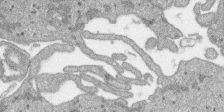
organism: Human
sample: Lung epithelial cells infected with SARS-CoV-2